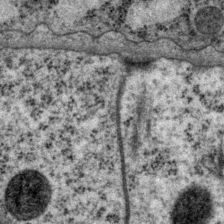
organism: P. pacificus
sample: Pharynx